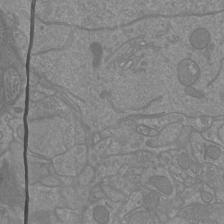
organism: Mouse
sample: Cortical neurons